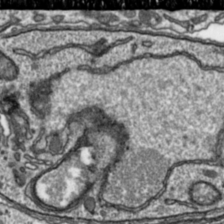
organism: Toxoplasma gondii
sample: Parasites in a vacuole inside a host cell